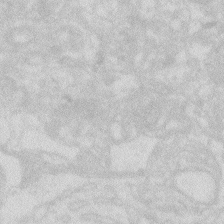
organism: Zebrafish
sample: Macrophage